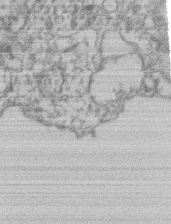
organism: Mouse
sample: T cell stromal cell synapse